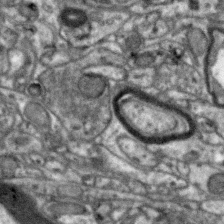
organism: Zebra finch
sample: Brain